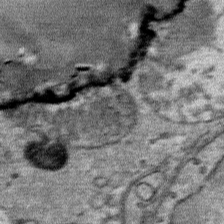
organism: Mouse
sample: Mouse Salivary gland